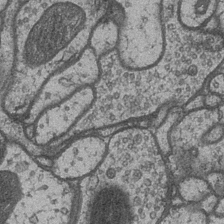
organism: Drosophila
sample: Optic medulla